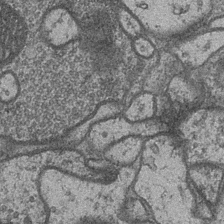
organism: Drosophila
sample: Optic medulla